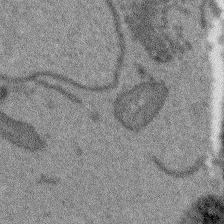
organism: Arabidopsis thaliana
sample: Root tip